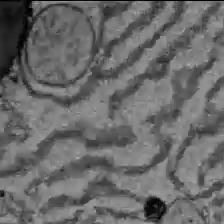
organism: C57BL Mouse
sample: Liver